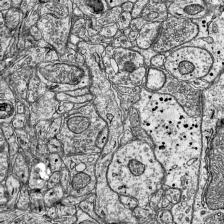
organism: Mouse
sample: Visual Cortex